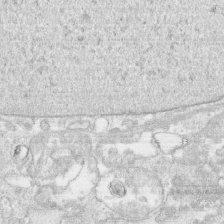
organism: Human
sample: CRL-1474